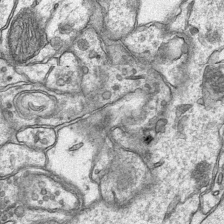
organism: Mouse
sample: CA1 Hippocampus